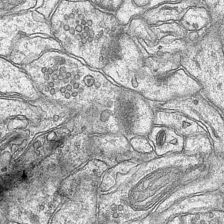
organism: Mouse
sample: CA1 Hippocampus